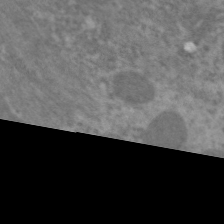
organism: C. elegans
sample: Pharynx